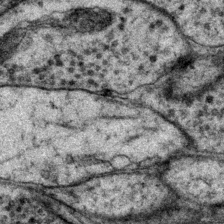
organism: P. pacificus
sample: Pharynx